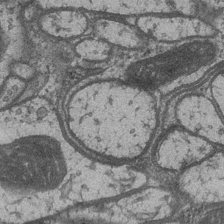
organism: Drosophila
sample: Optic medulla